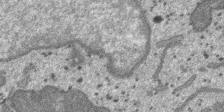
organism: Human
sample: Lung epithelial cells infected with SARS-CoV-2